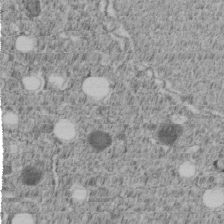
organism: C. elegans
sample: C. elegans embryo early stage